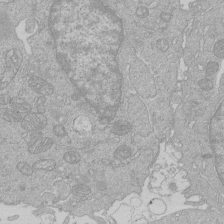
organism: Human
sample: Macrophage cells